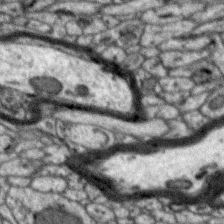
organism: Zebra finch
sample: Brain